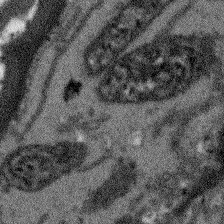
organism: Arabidopsis thaliana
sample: Root tip